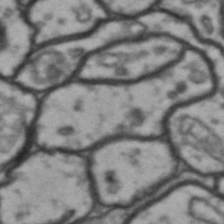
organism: Drosophila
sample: Brain